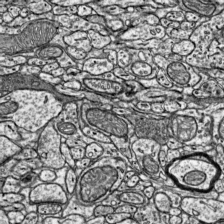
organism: Mouse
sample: Visual Cortex